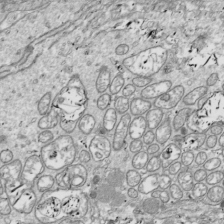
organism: Drosophila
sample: Cell division; meiosis; drosophila spermatocytes